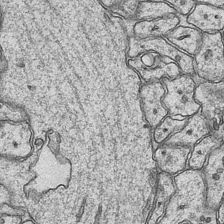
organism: Mouse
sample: CA1 Hippocampus